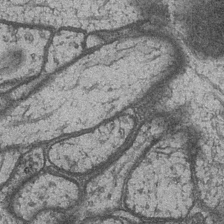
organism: Drosophila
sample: Optic medulla